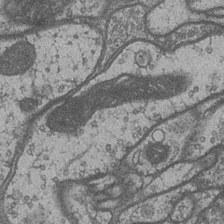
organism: Drosophila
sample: Optic medulla